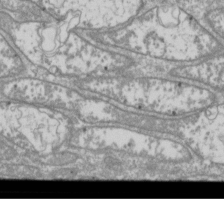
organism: Drosophila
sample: Cell division; meiosis; drosophila spermatocytes